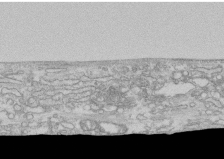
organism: Human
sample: CRL-1474